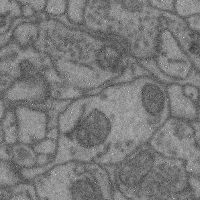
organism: Mouse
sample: Cerebral cortex